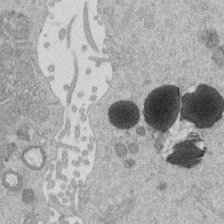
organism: Mouse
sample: Dividing mouse embryo 1 cell stage